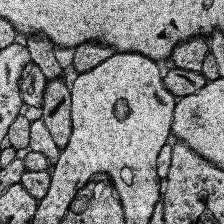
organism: Human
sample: Temporal Lobe